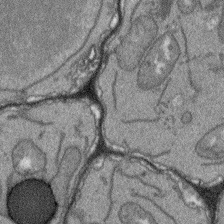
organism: Arabidopsis thaliana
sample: Root tip